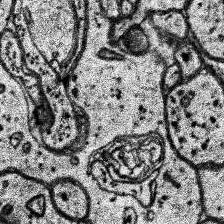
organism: Human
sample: Temporal Lobe